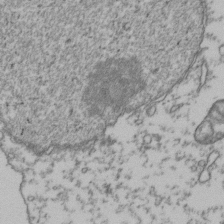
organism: Human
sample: Activated Jurkat CD4+ T cells